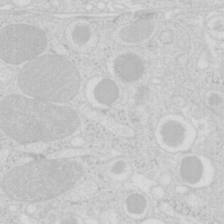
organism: Mouse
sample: Pancreas